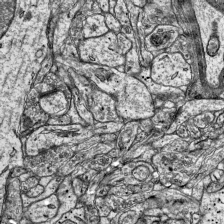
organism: Mouse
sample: Visual Cortex